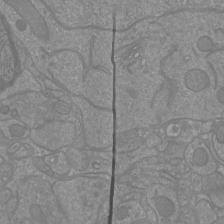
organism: Mouse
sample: Cortical neurons